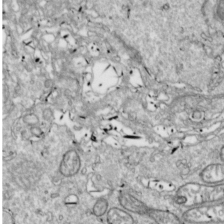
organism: Drosophila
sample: Cell division; meiosis; drosophila spermatocytes